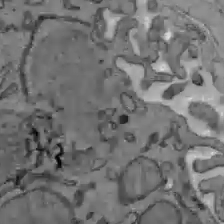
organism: C57BL Mouse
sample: Liver